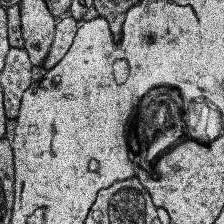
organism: Human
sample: Temporal Lobe